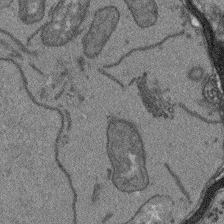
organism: Arabidopsis thaliana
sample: Root tip